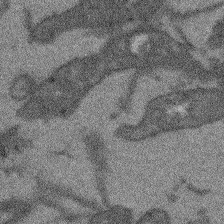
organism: Arabidopsis thaliana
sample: Root tip